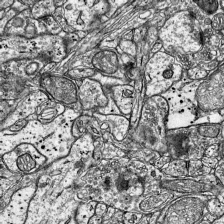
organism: Mouse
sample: Visual Cortex